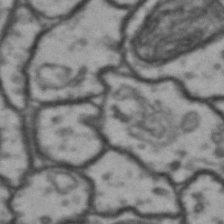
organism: Drosophila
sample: Brain